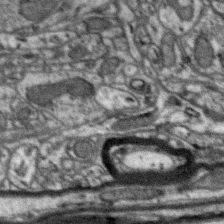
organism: Zebra finch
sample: Brain